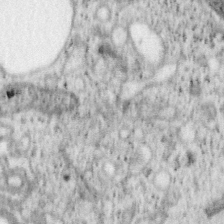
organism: Mouse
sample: OT-I killer T cells with ID8 ovarian cancer cells